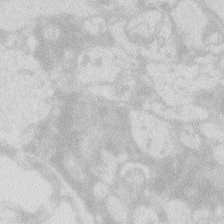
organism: Zebrafish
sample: Macrophage